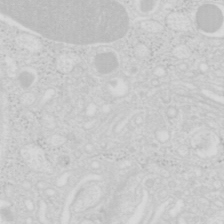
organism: Mouse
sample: Pancreas